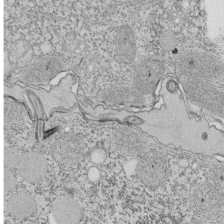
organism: Tetrahymena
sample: Cilia in tetrahymena